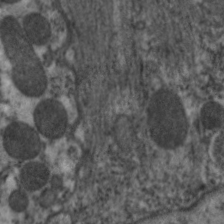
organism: C. elegans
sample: Pharynx